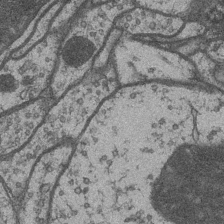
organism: Drosophila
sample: Optic medulla